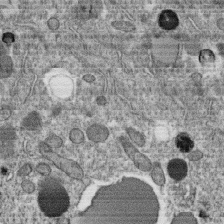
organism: C. elegans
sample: C. elegans oocyte; sperm cells